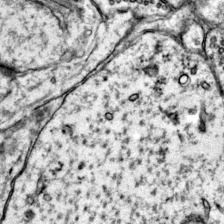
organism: Mouse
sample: Primary visual cortex